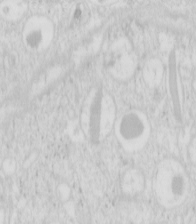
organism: Mouse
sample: Pancreas